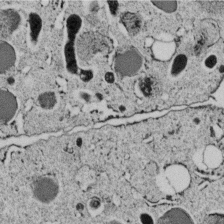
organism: C. elegans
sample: C. elegans embryo early stage